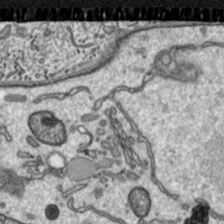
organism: Toxoplasma gondii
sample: Parasites in a vacuole inside a host cell